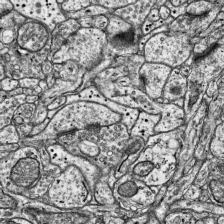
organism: Mouse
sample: Visual Cortex